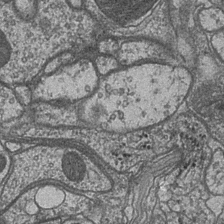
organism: Drosophila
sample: Optic medulla